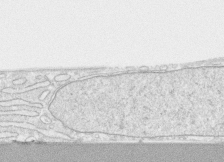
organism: Human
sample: CRL-1474